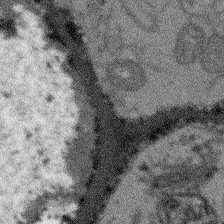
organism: Arabidopsis thaliana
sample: Root tip